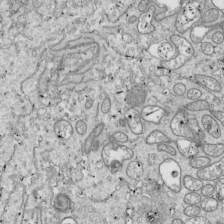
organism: Drosophila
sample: Cell division; meiosis; drosophila spermatocytes